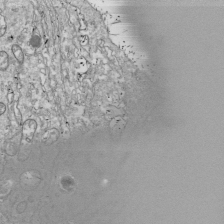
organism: Drosophila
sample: Cell division; meiosis; drosophila spermatocytes